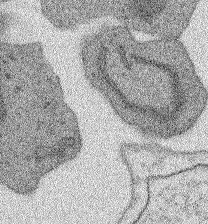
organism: Human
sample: HeLa cells